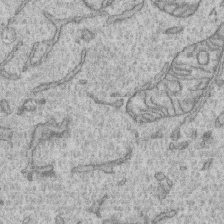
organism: Human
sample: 1205lu cells